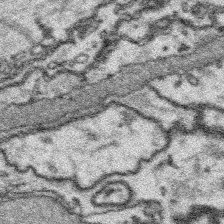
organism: Platynereis dumerilii